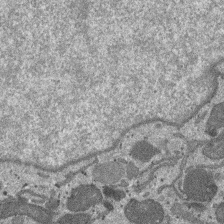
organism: Human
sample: Lung epithelial cells infected with SARS-CoV-2